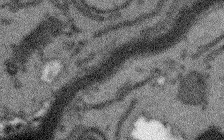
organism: Arabidopsis thaliana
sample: Root tip